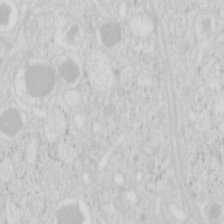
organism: Mouse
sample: Pancreas